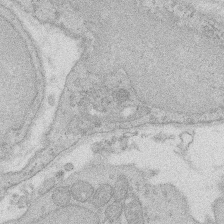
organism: Rat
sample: Salivary granule